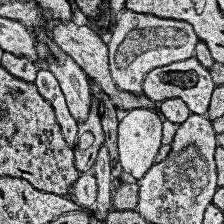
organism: Human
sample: Temporal Lobe